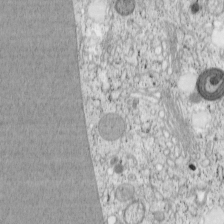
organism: African green monkey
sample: COS-7 cells